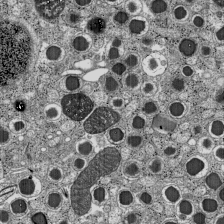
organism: C57BL Mouse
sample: Pancreatic islet